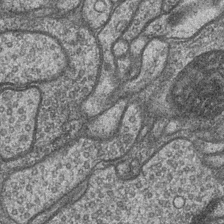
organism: Drosophila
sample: Optic medulla